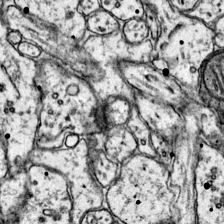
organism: Mouse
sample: Primary visual cortex